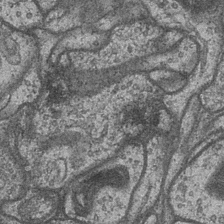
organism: Drosophila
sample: Optic medulla